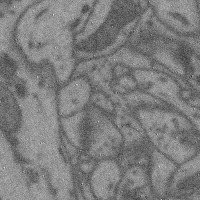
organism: Mouse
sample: Cerebral cortex